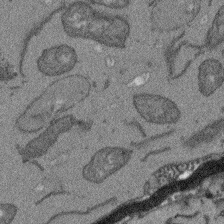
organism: Arabidopsis thaliana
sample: Root tip